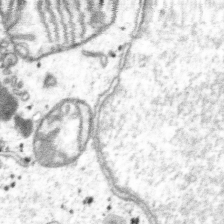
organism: Human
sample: HeLa cells